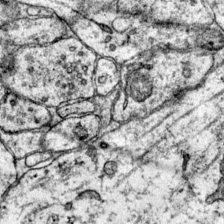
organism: Mouse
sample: Primary visual cortex